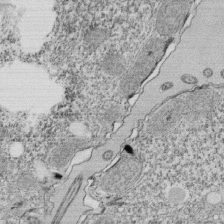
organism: Tetrahymena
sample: Cilia in tetrahymena